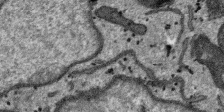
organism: Human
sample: Lung epithelial cells, uninfected (mock) control